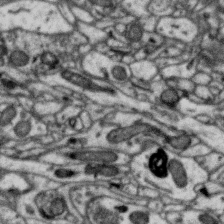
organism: Zebra finch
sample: Brain